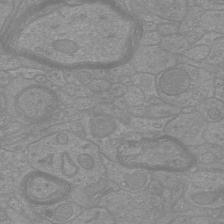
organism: Mouse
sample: Cortical neurons